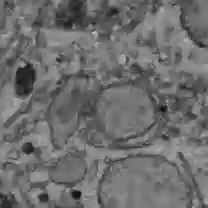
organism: C57BL Mouse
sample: Liver